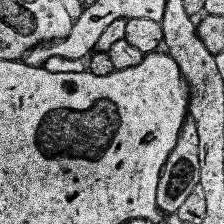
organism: Human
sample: Temporal Lobe